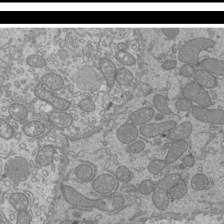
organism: Mouse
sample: Cilia; mouse epididymis